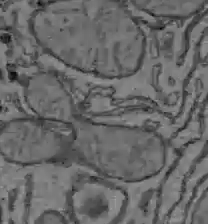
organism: C57BL Mouse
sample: Liver